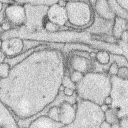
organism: Rabbit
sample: Retina